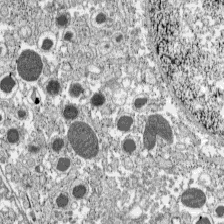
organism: C57BL Mouse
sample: Pancreatic islet